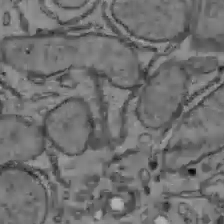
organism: C57BL Mouse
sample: Liver